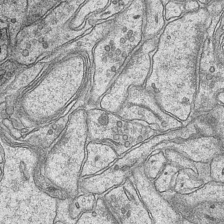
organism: Mouse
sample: CA1 Hippocampus